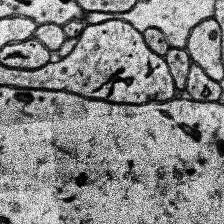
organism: Human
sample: Temporal Lobe